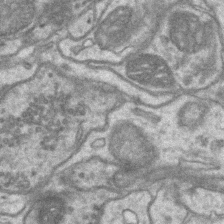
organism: Mouse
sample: CA1 Hippocampus